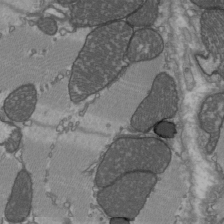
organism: C57BL Mouse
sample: Heart